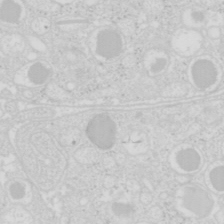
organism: Mouse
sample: Pancreas